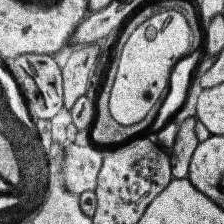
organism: Human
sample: Temporal Lobe